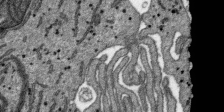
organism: Human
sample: Lung epithelial cells, uninfected (mock) control